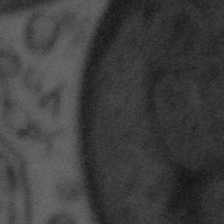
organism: Tuwongella immobilis